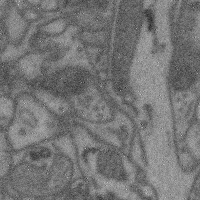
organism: Mouse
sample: Cerebral cortex